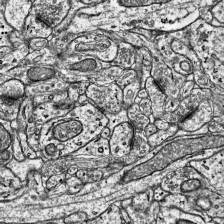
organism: Mouse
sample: Visual Cortex